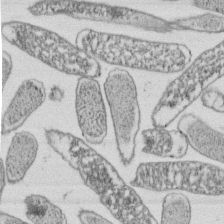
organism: E. coli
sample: Bacterial nucleoid